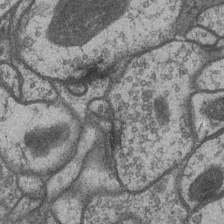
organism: Drosophila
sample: Optic medulla